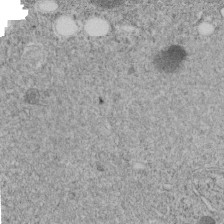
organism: C. elegans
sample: C. elegans embryo early stage